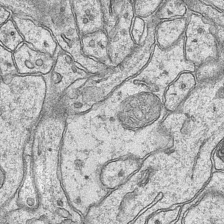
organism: Mouse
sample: CA1 Hippocampus